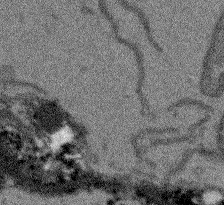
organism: Arabidopsis thaliana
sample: Root tip